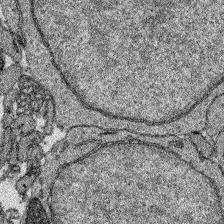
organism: Zebrafish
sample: Larval olfactory bulb